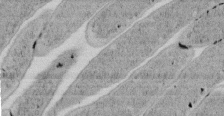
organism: E. coli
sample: Bacterial nucleoid